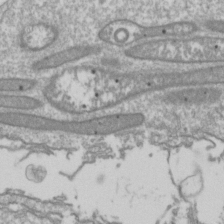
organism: Drosophila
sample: Cell division; meiosis; drosophila spermatocytes